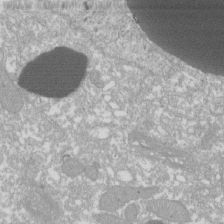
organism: Xenopus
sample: Cilia; centrioles in frog embryo cells